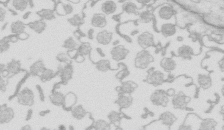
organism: Mouse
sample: Multiciliated cells